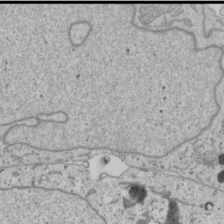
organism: Human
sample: Mitochondria in U2OS cells